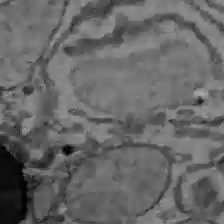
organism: C57BL Mouse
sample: Liver